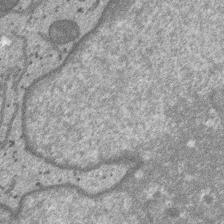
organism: Human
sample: Lung epithelial cells infected with SARS-CoV-2